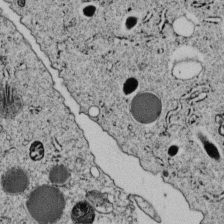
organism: C. elegans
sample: C. elegans embryo early stage